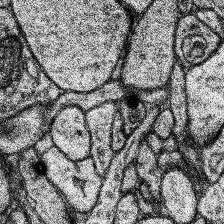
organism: Human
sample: Temporal Lobe